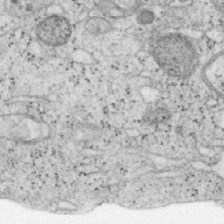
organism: Mouse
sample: OT-I killer T cells with ID8 ovarian cancer cells